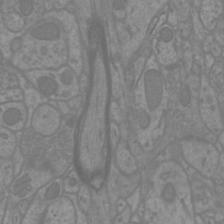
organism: Mouse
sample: Cortical neurons